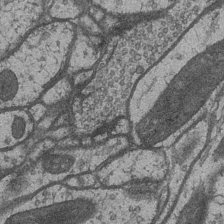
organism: Drosophila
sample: Optic medulla